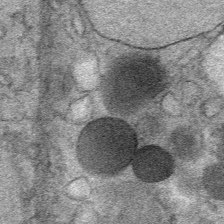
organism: Mouse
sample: Mouse Salivary gland